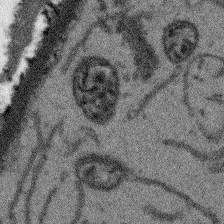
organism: Arabidopsis thaliana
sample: Root tip